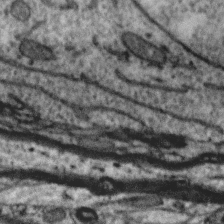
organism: Zebra finch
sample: Brain